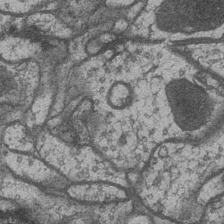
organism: Drosophila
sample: Optic medulla